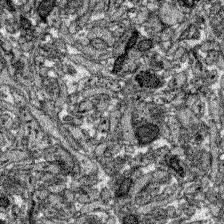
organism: Zebrafish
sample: Larval olfactory bulb